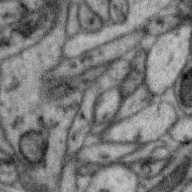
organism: Zebra finch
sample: Brain